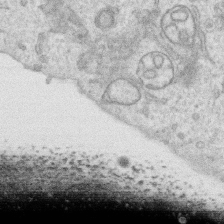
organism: Human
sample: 1205lu cells